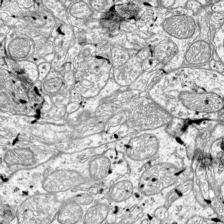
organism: Mouse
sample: Visual Cortex